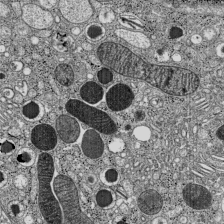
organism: C57BL Mouse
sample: Pancreatic islet